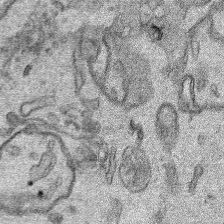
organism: Human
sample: Mitochondria in HCT116 cells